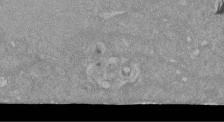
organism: Mouse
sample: ED-1 cell nuclei; centrioles